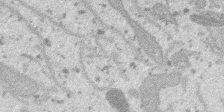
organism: Human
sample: Lung epithelial cells infected with SARS-CoV-2